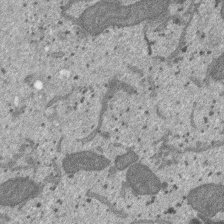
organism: Human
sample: Lung epithelial cells infected with SARS-CoV-2